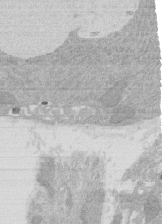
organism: Rat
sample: Salivary granule